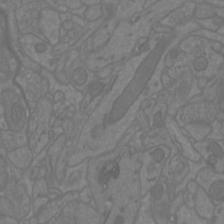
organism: Mouse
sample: Cortical neurons